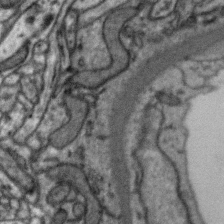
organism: Zebra finch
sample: Brain